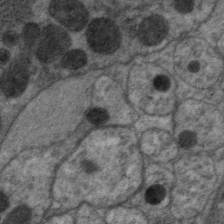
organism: C. elegans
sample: Pharynx